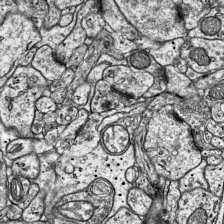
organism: Mouse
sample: Visual Cortex